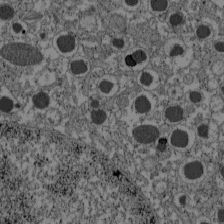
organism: C57BL Mouse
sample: Pancreatic islet